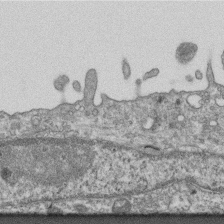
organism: Mouse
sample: Centriole in ependymal cells